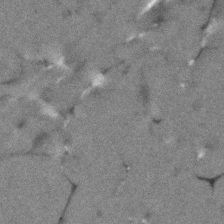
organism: Human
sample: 1205lu cells